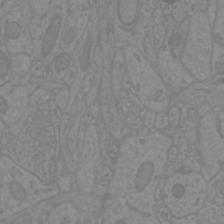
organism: Mouse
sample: Cortical neurons